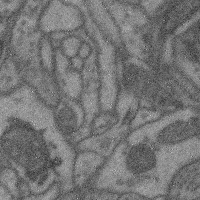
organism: Mouse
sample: Cerebral cortex